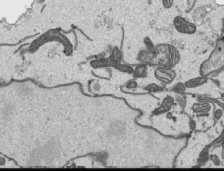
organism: Human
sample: Mitochondria in HCT116 cells